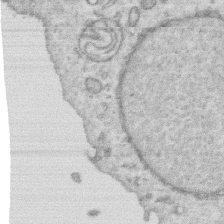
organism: Human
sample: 1205lu cells